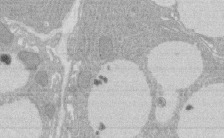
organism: Rat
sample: Salivary granule